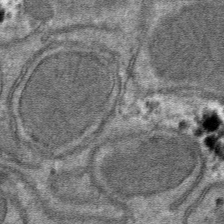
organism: Mouse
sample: Mouse hepatocytes